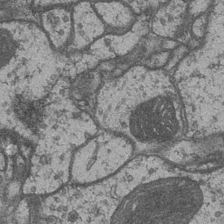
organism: Drosophila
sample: Optic medulla